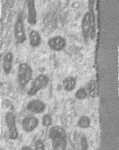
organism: Human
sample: Centriole in RPE cells